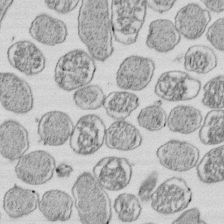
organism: E. coli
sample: Bacterial nucleoid